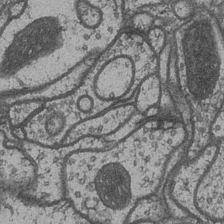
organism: Drosophila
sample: Optic medulla